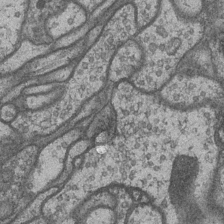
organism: Drosophila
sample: Optic medulla